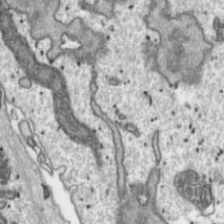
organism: Toxoplasma gondii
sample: Parasites in a vacuole inside a host cell